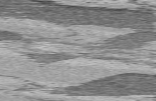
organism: C57BL Mouse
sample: Heart